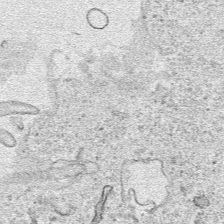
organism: Human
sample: Mitochondria in HCT116 cells